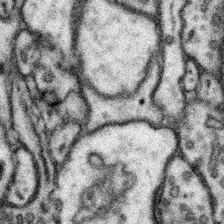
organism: Mouse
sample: Somatosensory cortex neuropil